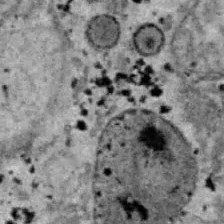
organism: Mouse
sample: Liver from an obese (ob/ob) mouse